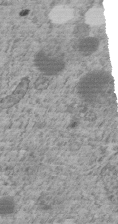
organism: C. elegans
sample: C. elegans embryo early stage